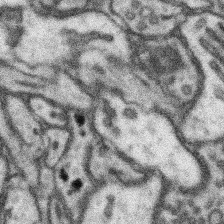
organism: Mouse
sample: Somatosensory cortex neuropil